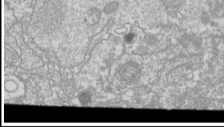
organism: Drosophila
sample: Cell division; meiosis; drosophila spermatocytes